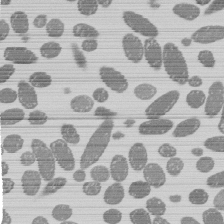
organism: E. coli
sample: Bacterial nucleoid